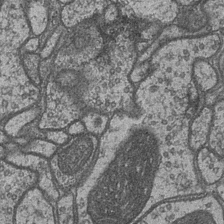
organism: Drosophila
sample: Optic medulla